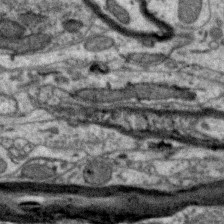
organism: Zebra finch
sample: Brain